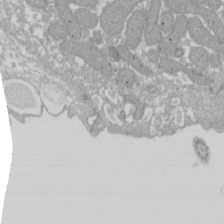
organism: Xenopus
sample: Cilia; centrioles in frog embryo cells